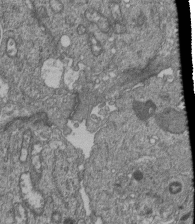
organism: Human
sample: Retinal organoid Rod and Cone cells